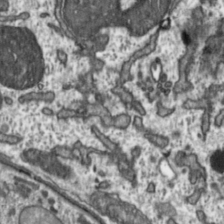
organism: Toxoplasma gondii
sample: Parasites in a vacuole inside a host cell